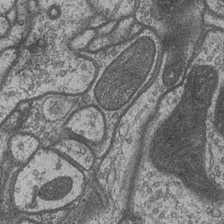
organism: Drosophila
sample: Optic medulla